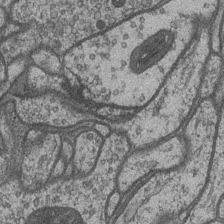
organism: Drosophila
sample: Optic medulla